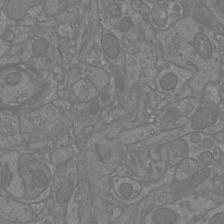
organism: Mouse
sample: Cortical neurons